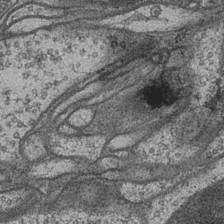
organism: Drosophila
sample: Optic medulla